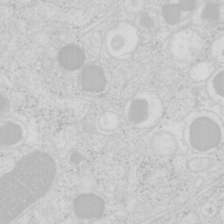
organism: Mouse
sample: Pancreas